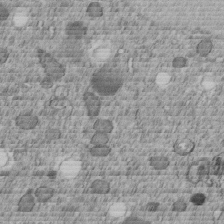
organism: C. elegans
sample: C. elegans embryo early stage